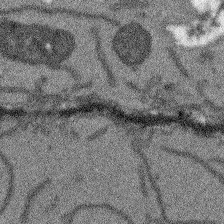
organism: Arabidopsis thaliana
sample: Root tip